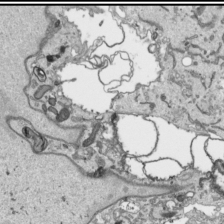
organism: Human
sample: Mitochondria in HCT116 cells